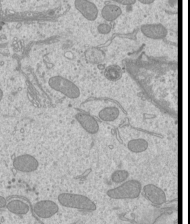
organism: Mouse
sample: Cilia; mouse epididymis